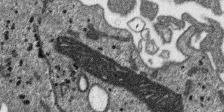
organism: Human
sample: Lung epithelial cells infected with SARS-CoV-2